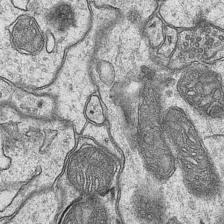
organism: Mouse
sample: CA1 Hippocampus